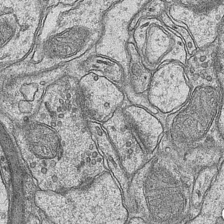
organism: Mouse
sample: CA1 Hippocampus